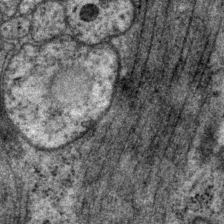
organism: P. pacificus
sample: Pharynx